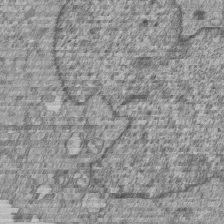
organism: Human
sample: MDA-MB-231 cells